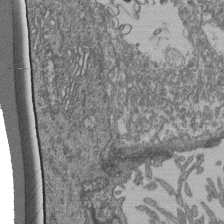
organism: Human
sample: Retinal organoid Rod and Cone cells